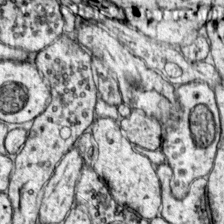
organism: Mouse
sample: Primary visual cortex